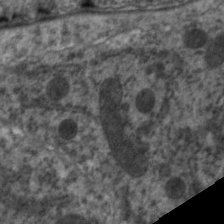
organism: C. elegans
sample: Pharynx